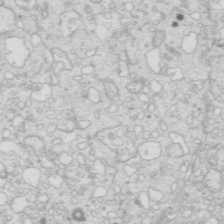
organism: Mouse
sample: Multiciliated cells